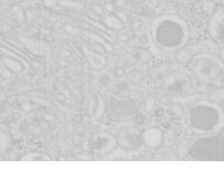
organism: Mouse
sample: Pancreas